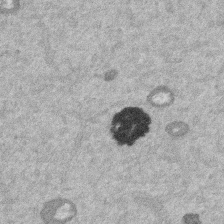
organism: Mouse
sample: Dividing mouse embryo 1 cell stage